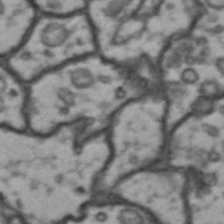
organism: Drosophila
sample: Brain